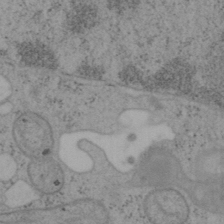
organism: Mouse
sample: OT-I killer T cells with ID8 ovarian cancer cells